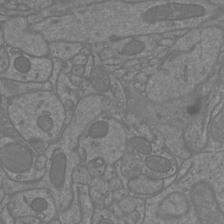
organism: Mouse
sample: Cortical neurons